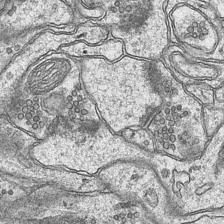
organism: Mouse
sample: CA1 Hippocampus